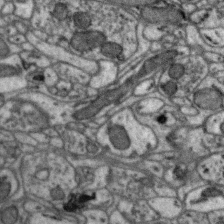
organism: Zebra finch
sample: Brain